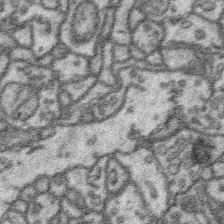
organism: Platynereis dumerilii